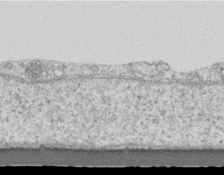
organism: Mouse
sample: Centriole in ependymal cells